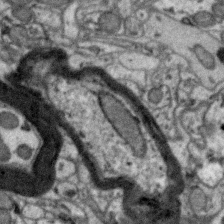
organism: Zebra finch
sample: Brain